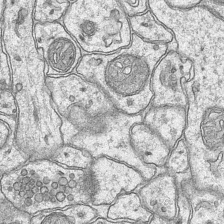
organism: Mouse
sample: CA1 Hippocampus